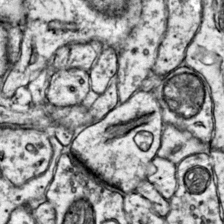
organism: Mouse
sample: Primary visual cortex